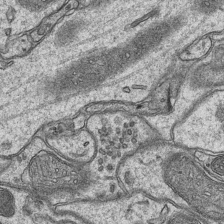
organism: Mouse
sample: CA1 Hippocampus